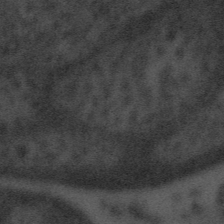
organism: Tuwongella immobilis